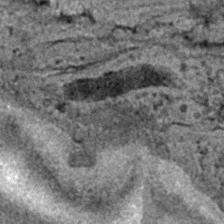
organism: C. elegans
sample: C. elegans embryo